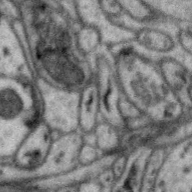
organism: Zebra finch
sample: Brain